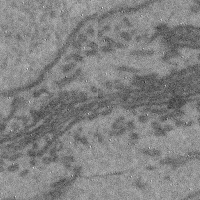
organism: Mouse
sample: Cerebral cortex